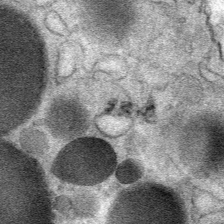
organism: Mouse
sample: Mouse Salivary gland